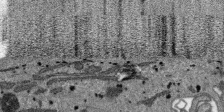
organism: Human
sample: Lung epithelial cells, uninfected (mock) control